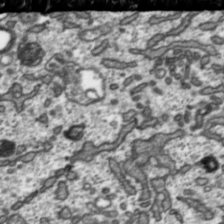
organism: Toxoplasma gondii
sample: Parasites in a vacuole inside a host cell